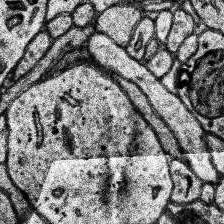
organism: Human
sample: Temporal Lobe